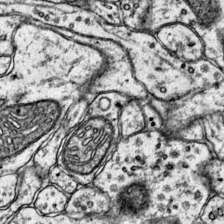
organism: Mouse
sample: Primary visual cortex